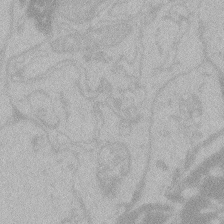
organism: Zebrafish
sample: Macrophage infected with Toxoplasma gondii